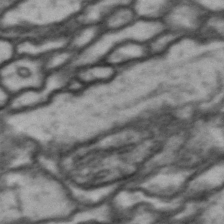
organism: Drosophila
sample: Brain